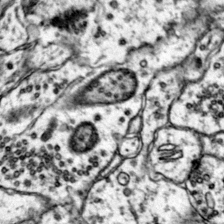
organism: Mouse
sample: Primary visual cortex